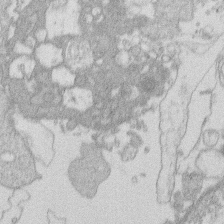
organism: Human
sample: Macrophage cells